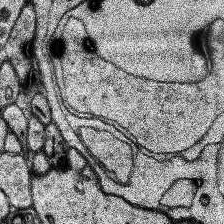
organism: Human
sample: Temporal Lobe